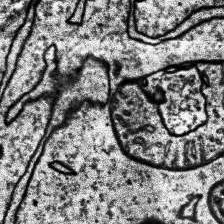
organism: Human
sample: Temporal Lobe